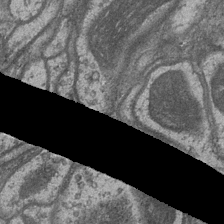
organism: Drosophila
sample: Optic medulla